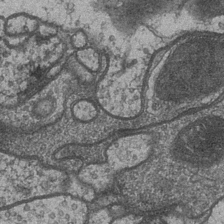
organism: Drosophila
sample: Optic medulla